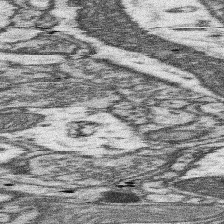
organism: Mouse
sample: Somatosensory cortex neuropil